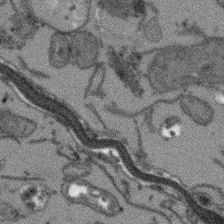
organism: Arabidopsis thaliana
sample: Root tip